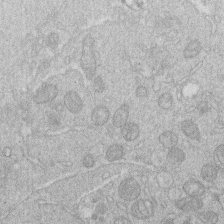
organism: Human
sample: Macrophage cells